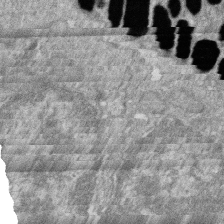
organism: Zebrafish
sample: Cilia; retinal pigment epithelium